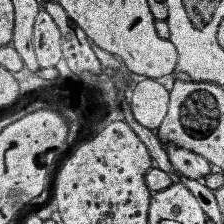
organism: Human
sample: Temporal Lobe